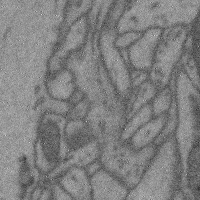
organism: Mouse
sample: Cerebral cortex